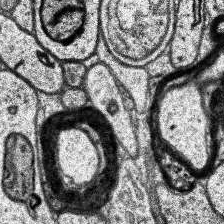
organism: Human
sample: Temporal Lobe